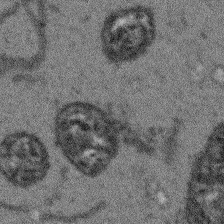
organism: Arabidopsis thaliana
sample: Root tip